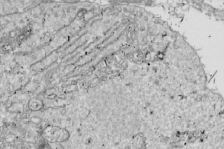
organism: Drosophila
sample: Cell division; meiosis; drosophila spermatocytes